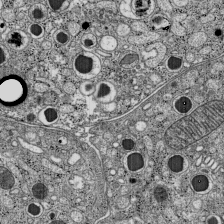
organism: C57BL Mouse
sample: Pancreatic islet